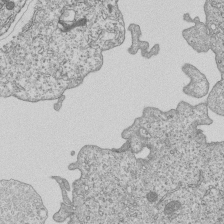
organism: Human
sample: MDA-MB-231 cells